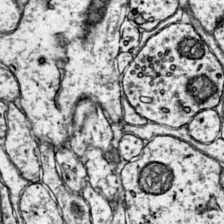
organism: Mouse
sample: Primary visual cortex